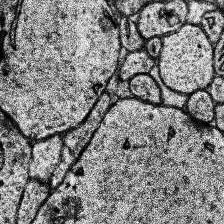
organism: Human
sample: Temporal Lobe